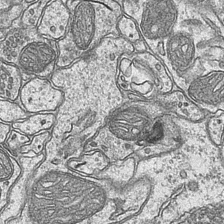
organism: Mouse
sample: CA1 Hippocampus